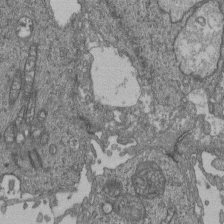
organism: Human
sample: Retinal organoid Rod and Cone cells